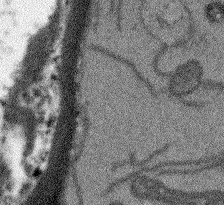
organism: Arabidopsis thaliana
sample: Root tip